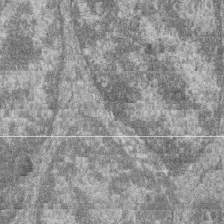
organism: Zebrafish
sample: Cilia; retinal pigment epithelium